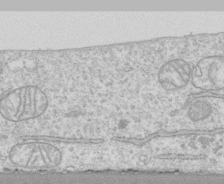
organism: Human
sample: CRL-1474